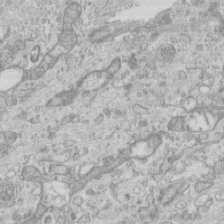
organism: Mouse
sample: Centriole in ependymal cells